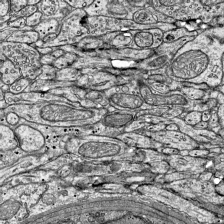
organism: Mouse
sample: Visual Cortex